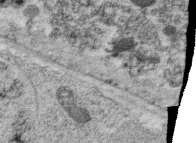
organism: C. elegans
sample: C. elegans oocyte; sperm cells